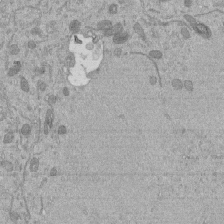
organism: Mouse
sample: ED-1 cell nuclei; centrioles